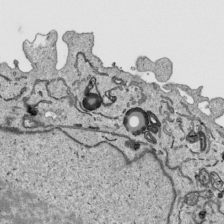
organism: Human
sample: Mitochondria in HCT116 cells